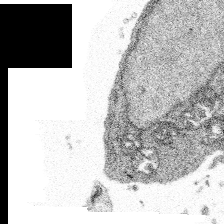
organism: Spongilla lacustris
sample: Multiple